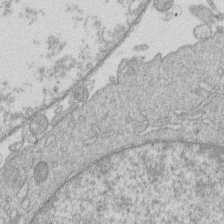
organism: Human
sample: Macrophage cells